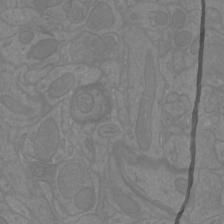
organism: Mouse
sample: Cortical neurons